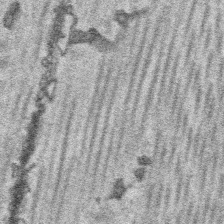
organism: Platynereis dumerilii